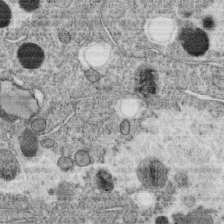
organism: C. elegans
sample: C. elegans oocyte; sperm cells